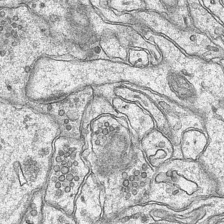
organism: Mouse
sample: CA1 Hippocampus